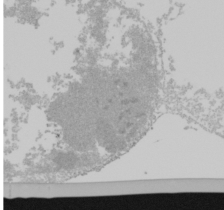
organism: Mouse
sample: Cancer cell death in ED-1 cells